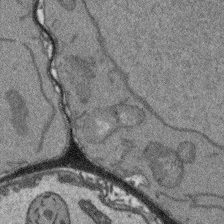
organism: Arabidopsis thaliana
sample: Root tip